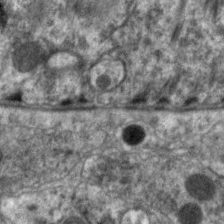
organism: C. elegans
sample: Pharynx